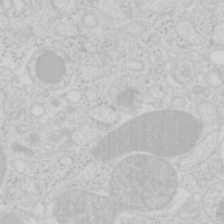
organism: Mouse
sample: Pancreas